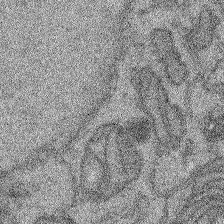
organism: Human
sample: HeLa cells